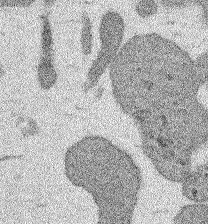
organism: Human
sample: HeLa cells